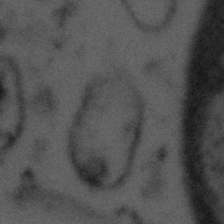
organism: Tuwongella immobilis